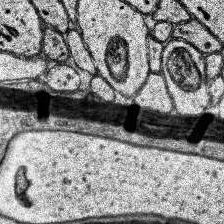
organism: Human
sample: Temporal Lobe